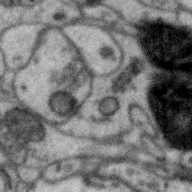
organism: Zebra finch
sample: Brain